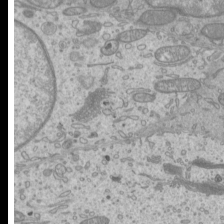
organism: Mouse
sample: Cilia; mouse epididymis